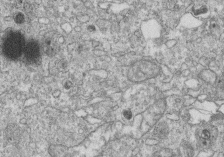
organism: Human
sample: HeLa cell HIV synapse